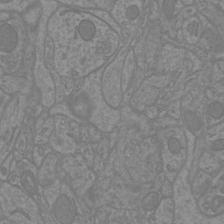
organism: Mouse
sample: Cortical neurons